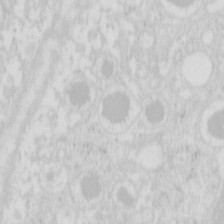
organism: Mouse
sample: Pancreas